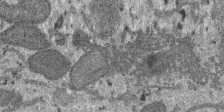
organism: Human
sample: Lung epithelial cells infected with SARS-CoV-2